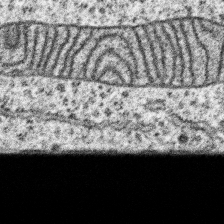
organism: Human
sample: HeLa cells